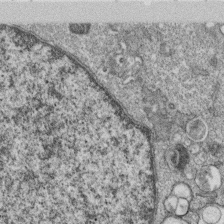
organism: African green monkey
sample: Vero E6 cells infected with SARS-CoV-2